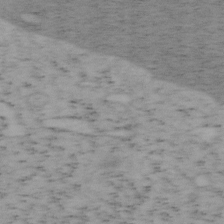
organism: Mouse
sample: OT-I killer T cells with ID8 ovarian cancer cells